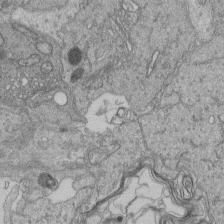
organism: Human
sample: Retinal organoid Rod and Cone cells